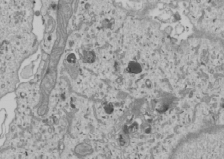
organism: Human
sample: Mitochondria in U2OS cells